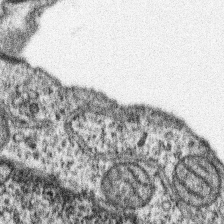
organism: Human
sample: HeLa cells